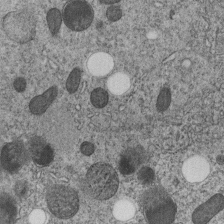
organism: C. elegans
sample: C. elegans embryo early stage